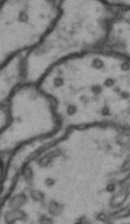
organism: Drosophila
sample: Brain